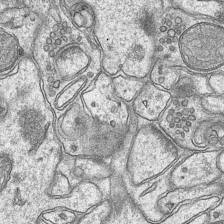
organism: Mouse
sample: CA1 Hippocampus